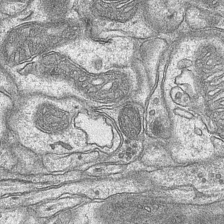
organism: Mouse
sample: CA1 Hippocampus